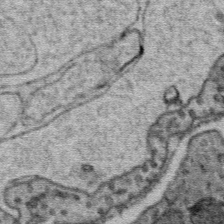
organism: Mouse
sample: Mouse Salivary gland